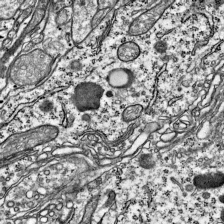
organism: Mouse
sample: Visual Cortex